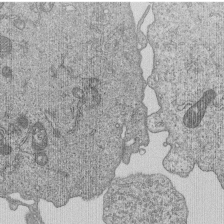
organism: Human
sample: MDA-MB-231 cells